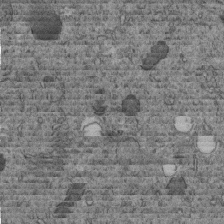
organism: C. elegans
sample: C. elegans embryo early stage